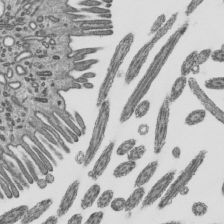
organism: Mouse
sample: Mouse epididymis efferent ductule cilia